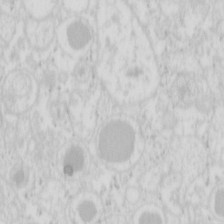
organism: Mouse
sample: Pancreas